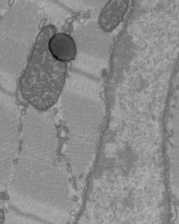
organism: C57BL Mouse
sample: Heart